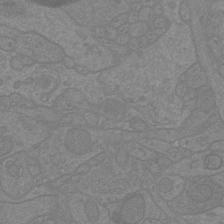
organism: Mouse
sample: Cortical neurons